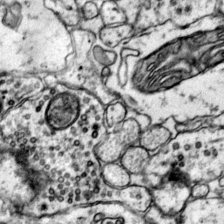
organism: Mouse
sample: Primary visual cortex